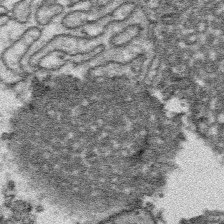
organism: Platynereis dumerilii